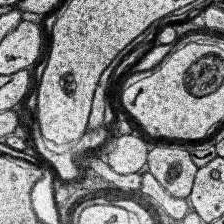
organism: Human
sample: Temporal Lobe